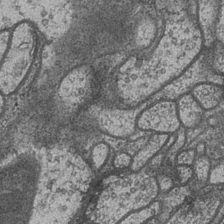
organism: Drosophila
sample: Optic medulla